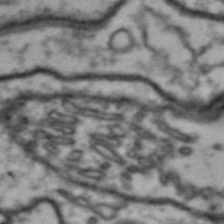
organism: Drosophila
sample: Brain